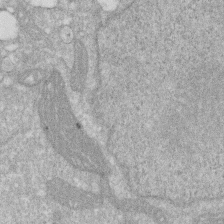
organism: Human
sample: HIV infected U937 cells